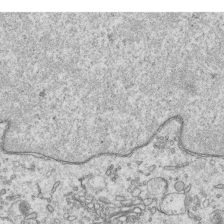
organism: Human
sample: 1205lu cells